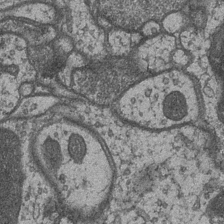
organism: Drosophila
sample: Optic medulla